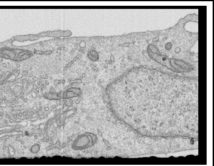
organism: Human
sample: Centriole in RPE cells